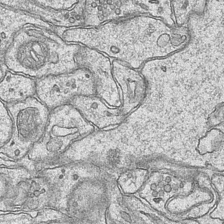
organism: Mouse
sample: CA1 Hippocampus